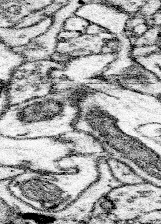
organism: Mouse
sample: Somatosensory cortex neuropil